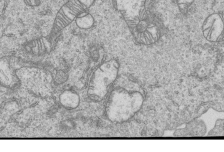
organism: Human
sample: MDA-MB-231 cells